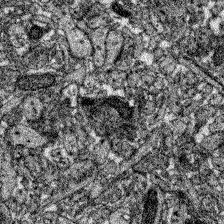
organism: Zebrafish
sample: Larval olfactory bulb